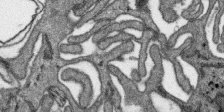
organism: Human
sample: Lung epithelial cells, uninfected (mock) control